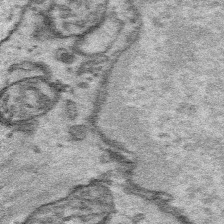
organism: Platynereis dumerilii